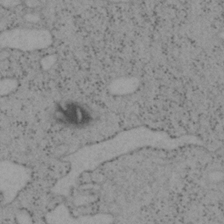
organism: Mouse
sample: OT-I killer T cells with ID8 ovarian cancer cells